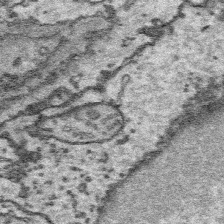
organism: Platynereis dumerilii